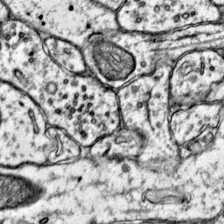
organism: Mouse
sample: Primary visual cortex